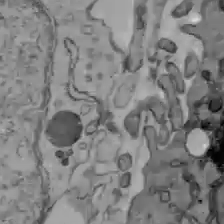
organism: C57BL Mouse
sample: Liver